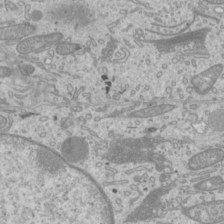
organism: Mouse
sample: Cilia; mouse epididymis